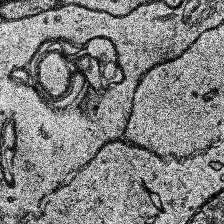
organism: Human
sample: Temporal Lobe